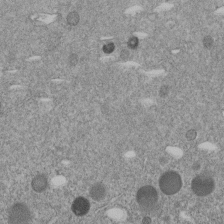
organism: C. elegans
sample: C. elegans embryo early stage